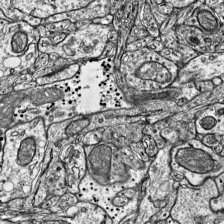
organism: Mouse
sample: Visual Cortex